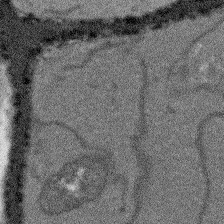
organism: Arabidopsis thaliana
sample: Root tip